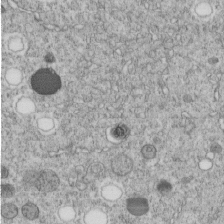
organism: C. elegans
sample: C. elegans embryo early stage